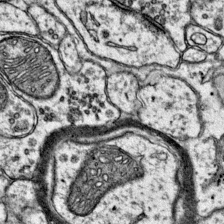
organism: Mouse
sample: Primary visual cortex